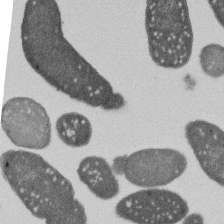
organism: E. coli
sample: Bacterial nucleoid